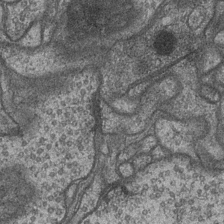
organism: Drosophila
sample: Optic medulla